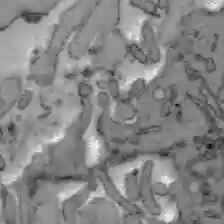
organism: C57BL Mouse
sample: Liver